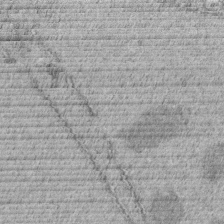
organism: C. elegans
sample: C. elegans embryo early stage